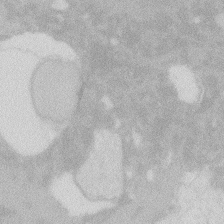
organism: Zebrafish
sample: Macrophage